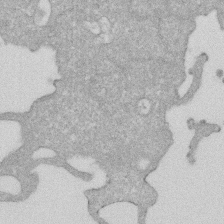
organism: Human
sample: HIV infected U937 cells